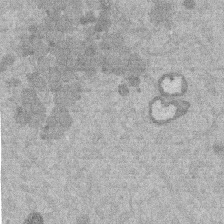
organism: Mouse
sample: Dividing mouse embryo 1 cell stage